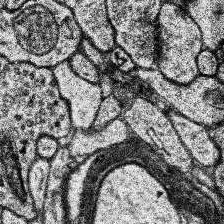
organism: Human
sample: Temporal Lobe